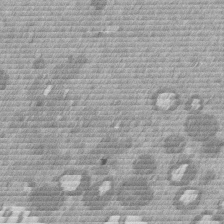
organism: Mouse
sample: Dividing mouse embryo 1 cell stage